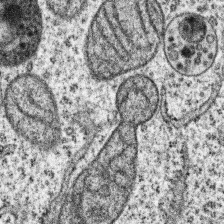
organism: Human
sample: HeLa cells